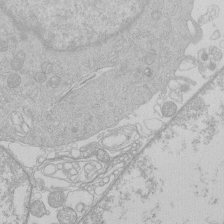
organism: Human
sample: Macrophage cells